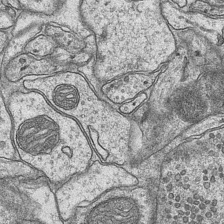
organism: Mouse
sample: CA1 Hippocampus